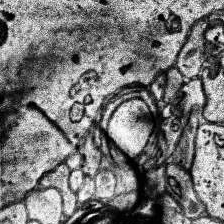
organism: Human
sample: Temporal Lobe